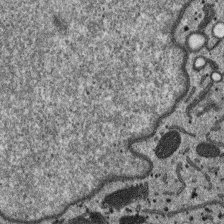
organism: Human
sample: Lung epithelial cells infected with SARS-CoV-2